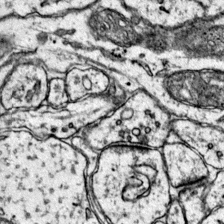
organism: Mouse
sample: Primary visual cortex